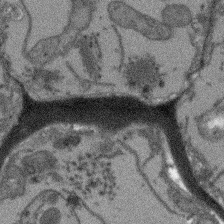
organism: Arabidopsis thaliana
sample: Root tip